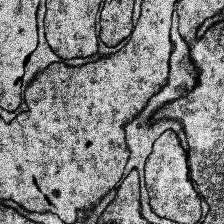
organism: Human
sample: Temporal Lobe